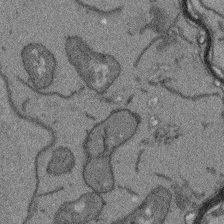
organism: Arabidopsis thaliana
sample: Root tip